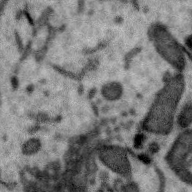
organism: Zebra finch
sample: Brain